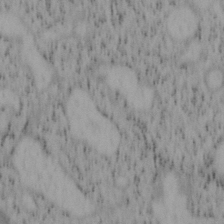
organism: Mouse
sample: OT-I killer T cells with ID8 ovarian cancer cells